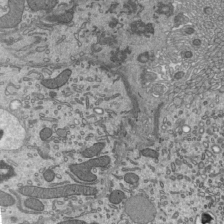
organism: Mouse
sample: Mouse epididymis efferent ductule cilia